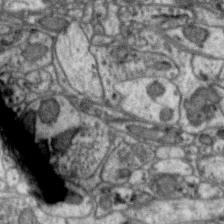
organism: Zebra finch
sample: Brain